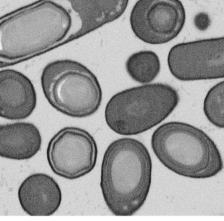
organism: B. subtilis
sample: Bacterial spore